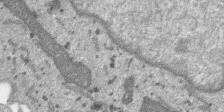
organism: Human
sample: Lung epithelial cells infected with SARS-CoV-2